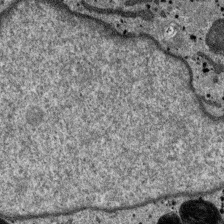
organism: Human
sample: Lung epithelial cells, uninfected (mock) control